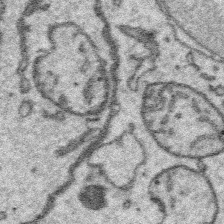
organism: Platynereis dumerilii